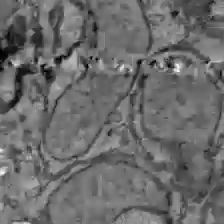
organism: C57BL Mouse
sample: Liver